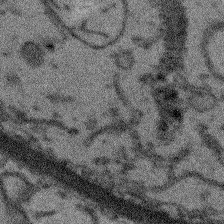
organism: Arabidopsis thaliana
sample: Root tip